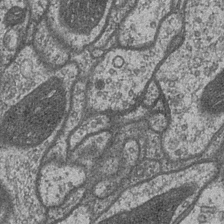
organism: Drosophila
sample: Optic medulla